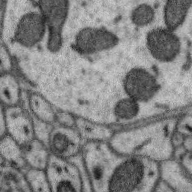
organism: Zebra finch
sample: Brain